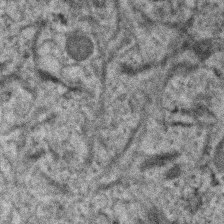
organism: Human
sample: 1205lu cells